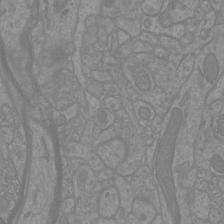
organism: Mouse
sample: Cortical neurons